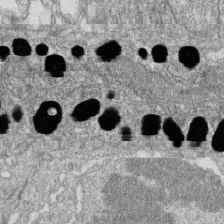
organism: Zebrafish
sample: Cilia; retinal pigment epithelium